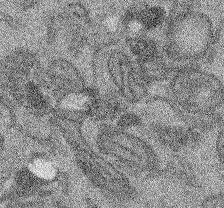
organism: Human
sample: HeLa cells